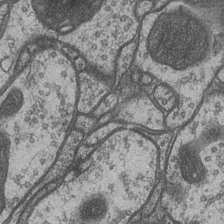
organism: Drosophila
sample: Optic medulla